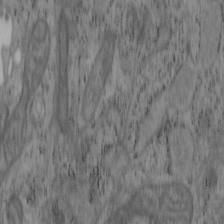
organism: Human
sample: HeLa cells